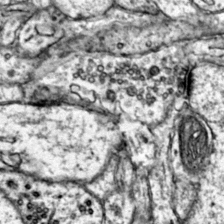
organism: Mouse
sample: Primary visual cortex